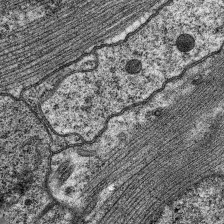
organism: C. elegans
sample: Pharynx